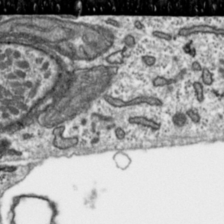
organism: Toxoplasma gondii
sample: Parasites in a vacuole inside a host cell